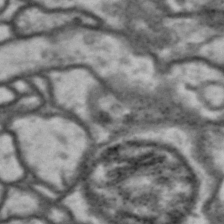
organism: Drosophila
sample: Brain